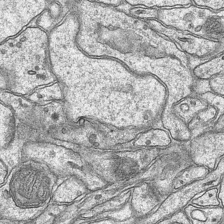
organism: Mouse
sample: CA1 Hippocampus